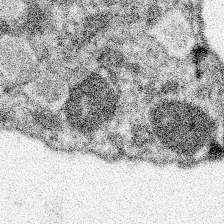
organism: Spongilla lacustris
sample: Neuroid cell